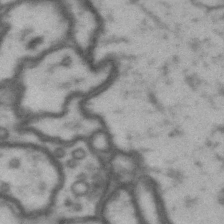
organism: Drosophila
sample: Brain